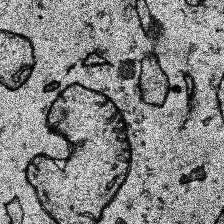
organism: Human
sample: Temporal Lobe